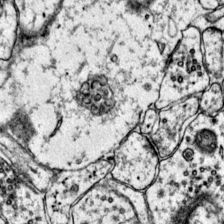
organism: Mouse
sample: Primary visual cortex